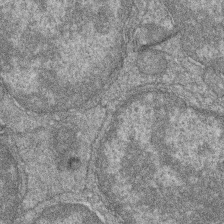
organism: Zebrafish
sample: Cilia; retinal pigment epithelium